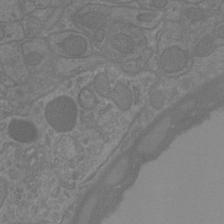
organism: Mouse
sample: Cortical neurons